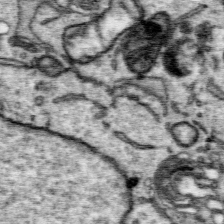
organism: Human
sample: HeLa cells